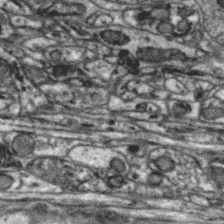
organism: Zebra finch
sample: Brain